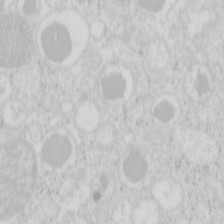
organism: Mouse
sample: Pancreas